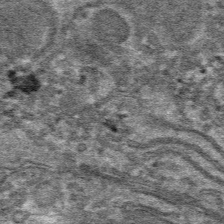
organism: Mouse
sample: Mouse hepatocytes